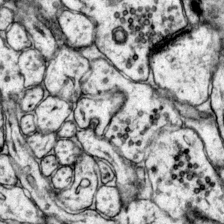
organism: Mouse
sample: Primary visual cortex